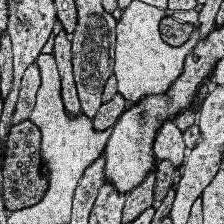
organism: Human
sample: Temporal Lobe